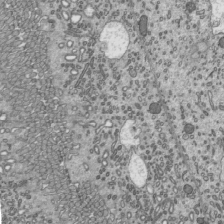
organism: Mouse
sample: Mouse epididymis efferent ductule cilia